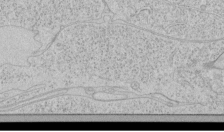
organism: Human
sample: Mitochondria in HCT116 cells